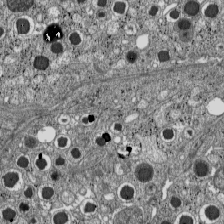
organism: C57BL Mouse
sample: Pancreatic islet